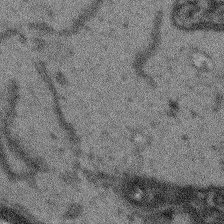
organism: Arabidopsis thaliana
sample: Root tip